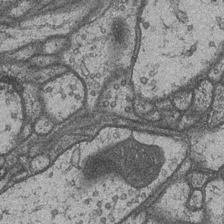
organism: Drosophila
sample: Optic medulla